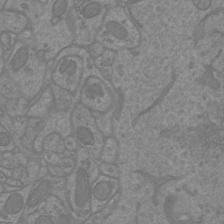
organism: Mouse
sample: Cortical neurons